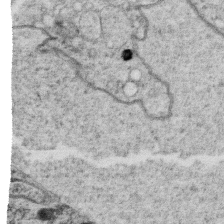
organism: C. elegans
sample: C. elegans oocyte; sperm cells